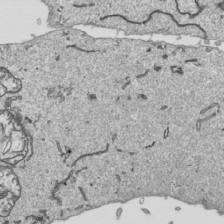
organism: Human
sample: Mitochondria in HCT116 cells